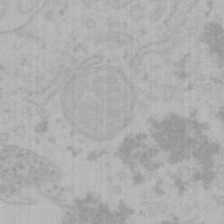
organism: Mouse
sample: Choroid plexus